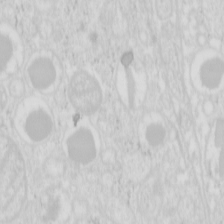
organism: Mouse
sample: Pancreas